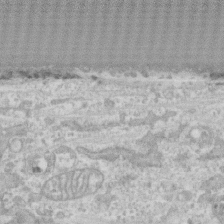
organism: Human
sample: CRL-1474